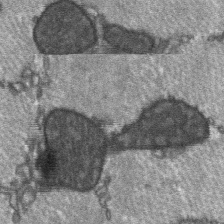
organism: C57BL Mouse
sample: Soleus